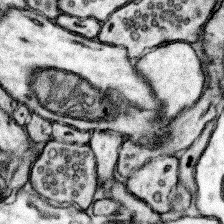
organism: Mouse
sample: Somatosensory cortex neuropil